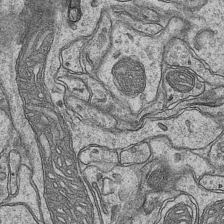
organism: Mouse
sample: CA1 Hippocampus